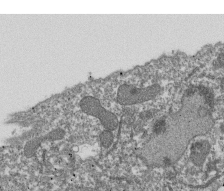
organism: Dictyostelium discoideum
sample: Dictyostelium multivesicular bodies